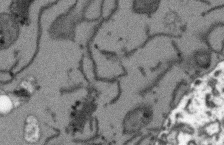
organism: Arabidopsis thaliana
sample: Root tip